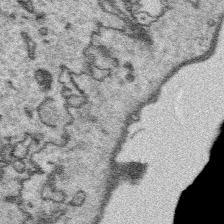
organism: Platynereis dumerilii